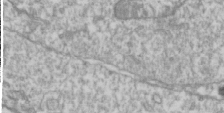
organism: Drosophila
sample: Cell division; meiosis; drosophila spermatocytes